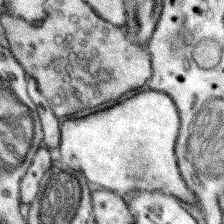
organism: Mouse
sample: Somatosensory cortex neuropil